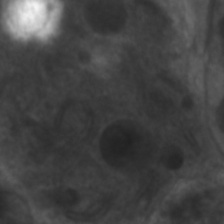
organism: C. elegans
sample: Pharynx